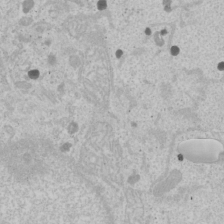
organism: Human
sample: Mitochondria in U2OS cells